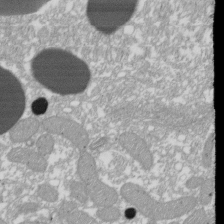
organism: Xenopus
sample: Cilia; centrioles in frog embryo cells